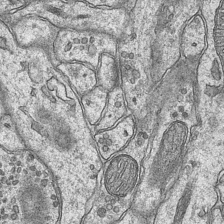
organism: Mouse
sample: CA1 Hippocampus